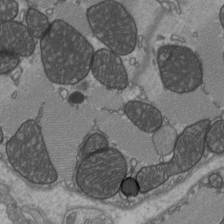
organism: C57BL Mouse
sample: Heart